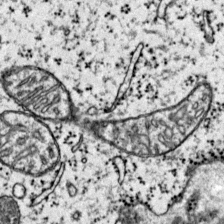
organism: Mouse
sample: Primary visual cortex